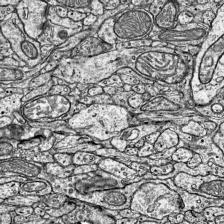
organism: Mouse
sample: Visual Cortex